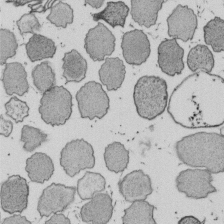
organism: E. coli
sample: Bacterial nucleoid